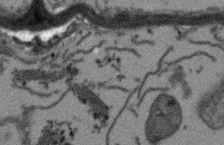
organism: Arabidopsis thaliana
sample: Root tip